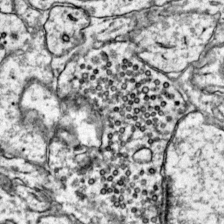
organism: Mouse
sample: Primary visual cortex